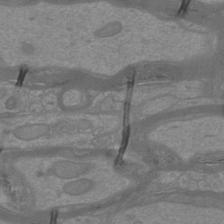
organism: Mouse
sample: Cortical neurons